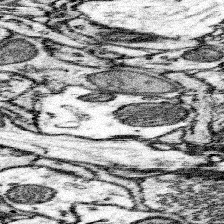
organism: Mouse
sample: Somatosensory cortex neuropil